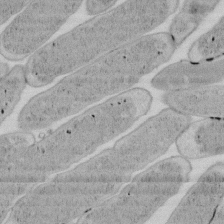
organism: E. coli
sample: Bacterial nucleoid